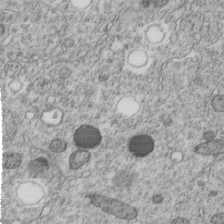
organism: C. elegans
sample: C. elegans embryo early stage